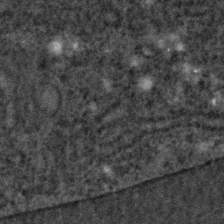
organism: C. elegans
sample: C. elegans embryo